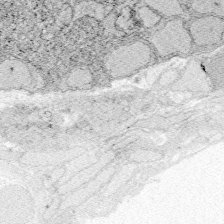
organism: Zebrafish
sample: Whole-Brain